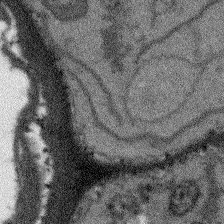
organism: Arabidopsis thaliana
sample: Root tip